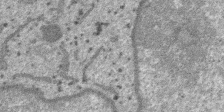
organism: Human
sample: Lung epithelial cells infected with SARS-CoV-2